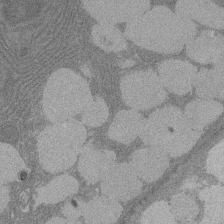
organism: Rat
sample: Salivary granule